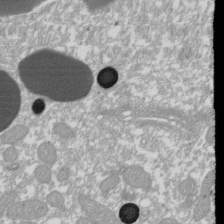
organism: Xenopus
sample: Cilia; centrioles in frog embryo cells